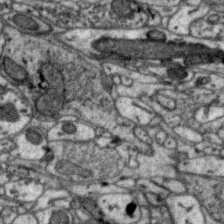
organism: Zebra finch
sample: Brain